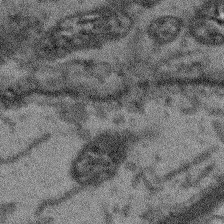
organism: Arabidopsis thaliana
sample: Root tip